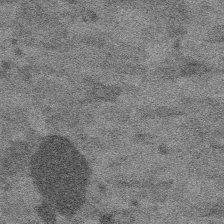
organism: Platynereis dumerilii